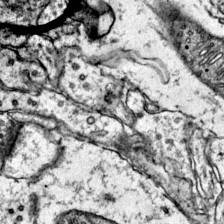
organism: Mouse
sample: Primary visual cortex